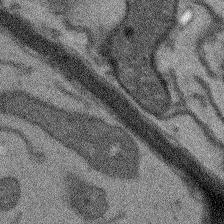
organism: Arabidopsis thaliana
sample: Root tip